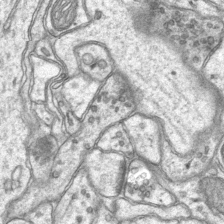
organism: Mouse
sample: CA1 Hippocampus